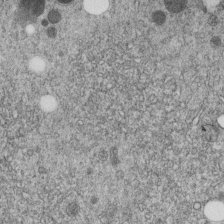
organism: C. elegans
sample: C. elegans embryo early stage